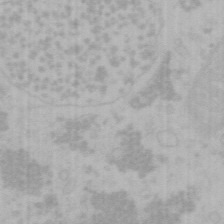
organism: Mouse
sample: Choroid plexus